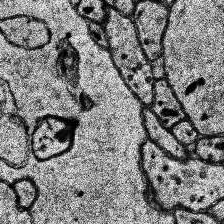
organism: Human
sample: Temporal Lobe